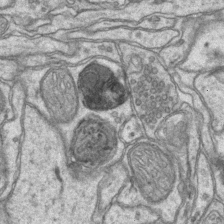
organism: Mouse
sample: CA1 Hippocampus